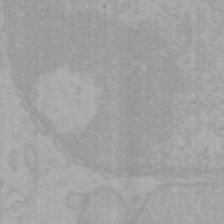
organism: Mouse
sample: Choroid plexus